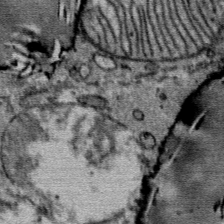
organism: Mouse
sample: Mouse Salivary gland